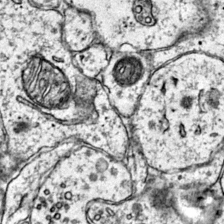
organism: Mouse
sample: Primary visual cortex